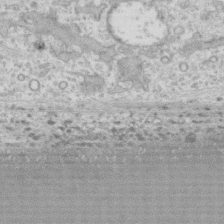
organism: Human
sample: CRL-1474